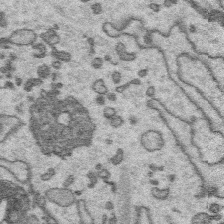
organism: Platynereis dumerilii